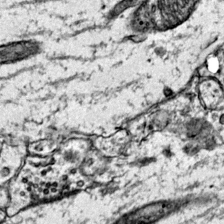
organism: Mouse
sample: Primary visual cortex